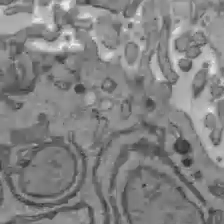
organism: C57BL Mouse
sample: Liver